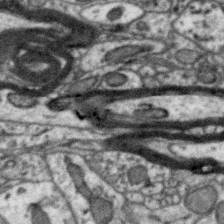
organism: Zebra finch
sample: Brain